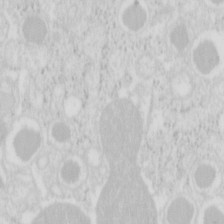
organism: Mouse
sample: Pancreas